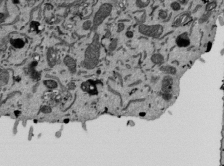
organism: Mouse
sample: ED-1 cell nuclei; centrioles